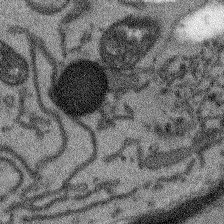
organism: Arabidopsis thaliana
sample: Root tip